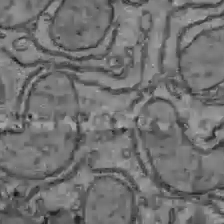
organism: C57BL Mouse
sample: Liver